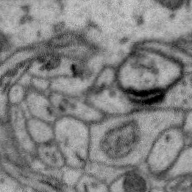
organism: Zebra finch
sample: Brain